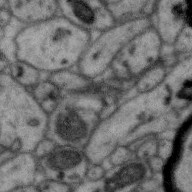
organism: Zebra finch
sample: Brain